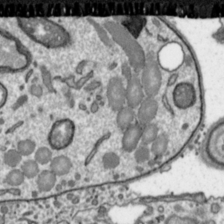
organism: Toxoplasma gondii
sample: Parasites in a vacuole inside a host cell